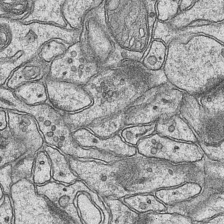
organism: Mouse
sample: CA1 Hippocampus